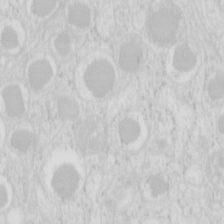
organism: Mouse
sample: Pancreas